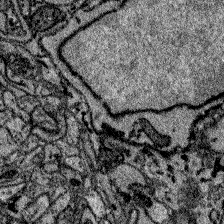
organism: Zebrafish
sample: Larval olfactory bulb